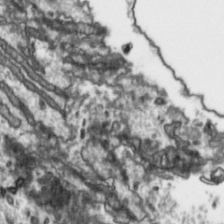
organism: Toxoplasma gondii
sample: Parasites in a vacuole inside a host cell